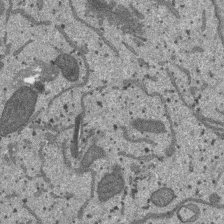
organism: Human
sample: Lung epithelial cells infected with SARS-CoV-2